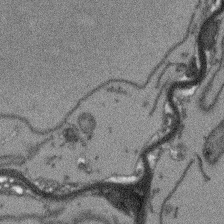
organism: Arabidopsis thaliana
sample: Root tip